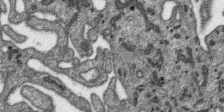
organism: Human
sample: Lung epithelial cells infected with SARS-CoV-2